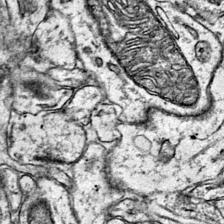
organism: Mouse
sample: Primary visual cortex